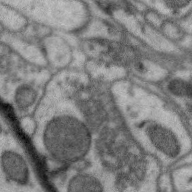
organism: Zebra finch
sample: Brain